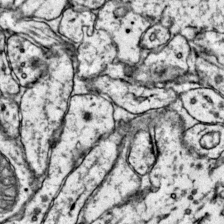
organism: Mouse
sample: Primary visual cortex